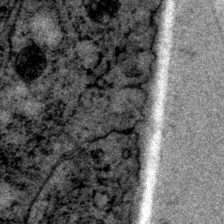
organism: P. pacificus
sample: Pharynx